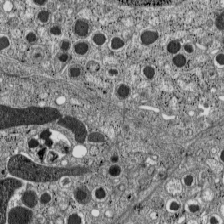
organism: C57BL Mouse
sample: Pancreatic islet